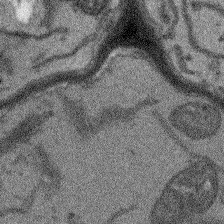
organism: Arabidopsis thaliana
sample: Root tip